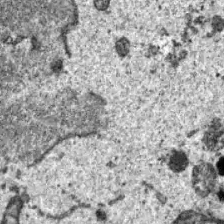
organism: Human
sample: HeLa cells